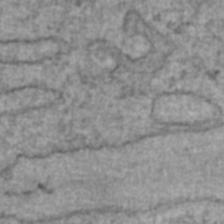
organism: Human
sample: Blood